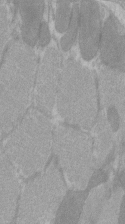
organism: C57BL Mouse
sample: Tibialis anterior muscle cell